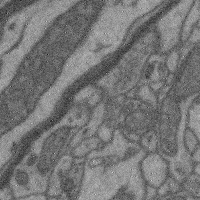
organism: Mouse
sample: Cerebral cortex